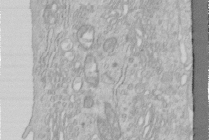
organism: Human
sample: Centriole in RPE cells